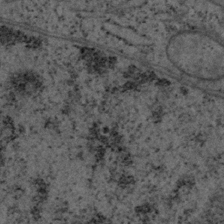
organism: Human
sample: HeLa cells